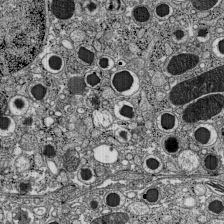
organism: C57BL Mouse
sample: Pancreatic islet